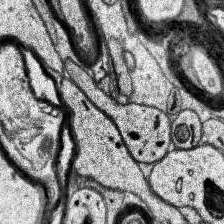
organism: Human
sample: Temporal Lobe